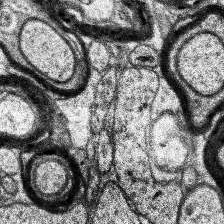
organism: Human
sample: Temporal Lobe